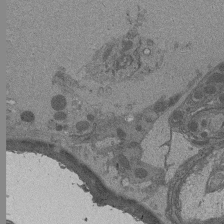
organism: Drosophila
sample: Antenna